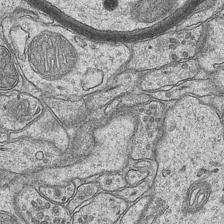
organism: Mouse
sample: CA1 Hippocampus